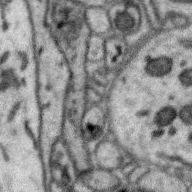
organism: Zebra finch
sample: Brain